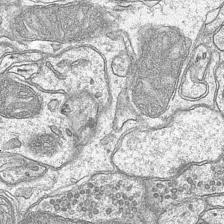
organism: Mouse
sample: CA1 Hippocampus